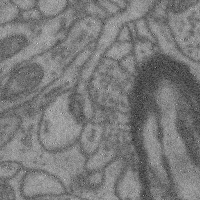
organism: Mouse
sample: Cerebral cortex